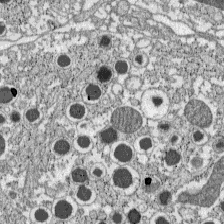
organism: C57BL Mouse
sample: Pancreatic islet